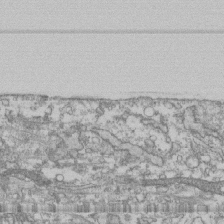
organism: Human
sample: Fibroblast cells